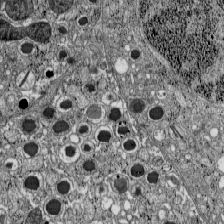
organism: C57BL Mouse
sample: Pancreatic islet